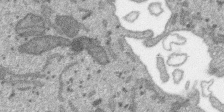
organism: Human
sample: Lung epithelial cells infected with SARS-CoV-2